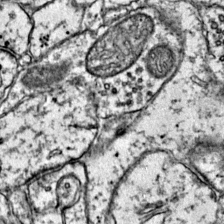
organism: Mouse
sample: Primary visual cortex